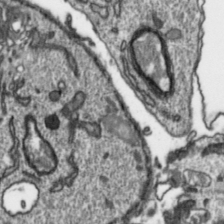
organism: Toxoplasma gondii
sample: Parasites in a vacuole inside a host cell